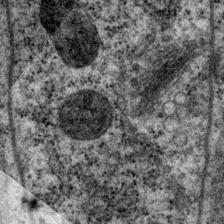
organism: P. pacificus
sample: Pharynx